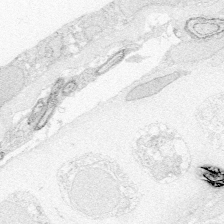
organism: Zebrafish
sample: Whole-Brain